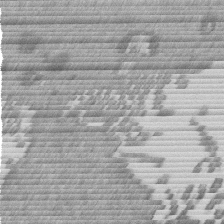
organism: Mouse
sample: Dividing mouse embryo 1 cell stage